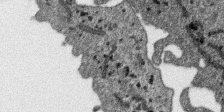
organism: Human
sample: Lung epithelial cells infected with SARS-CoV-2